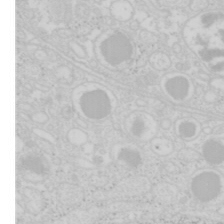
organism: Mouse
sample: Pancreas